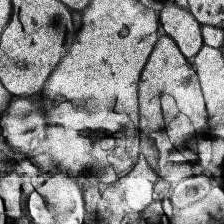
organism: Human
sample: Temporal Lobe